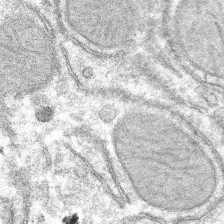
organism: Mouse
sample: Mouse hepatocytes